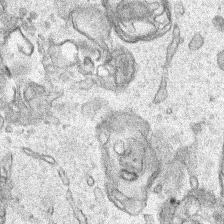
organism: Human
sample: Mitochondria in HCT116 cells